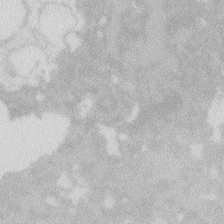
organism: Zebrafish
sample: Macrophage